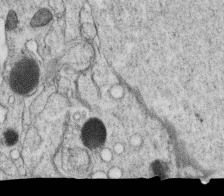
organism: C. elegans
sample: C. elegans oocyte; sperm cells